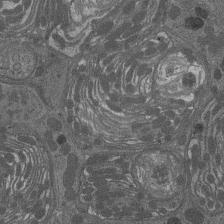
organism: Drosophila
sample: Antenna